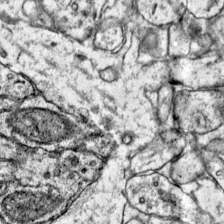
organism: Mouse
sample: Primary visual cortex